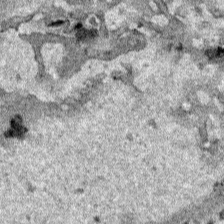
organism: Human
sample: Mitochondria in HCT116 cells